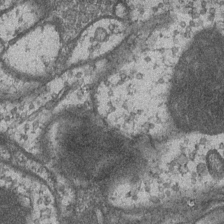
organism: Drosophila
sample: Optic medulla